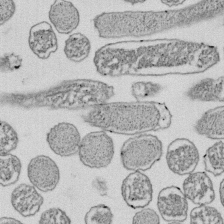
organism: E. coli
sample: Bacterial nucleoid